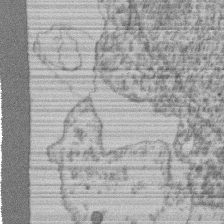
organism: Mouse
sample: T cell stromal cell synapse